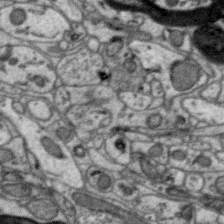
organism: Zebra finch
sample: Brain